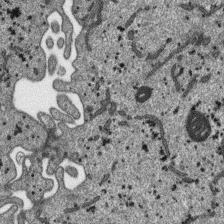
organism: Human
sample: Lung epithelial cells infected with SARS-CoV-2